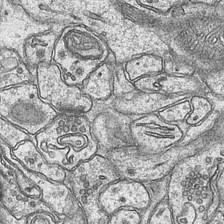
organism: Mouse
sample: CA1 Hippocampus